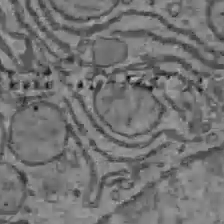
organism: C57BL Mouse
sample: Liver